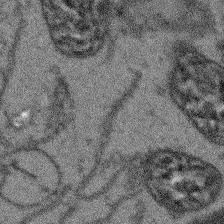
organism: Arabidopsis thaliana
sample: Root tip